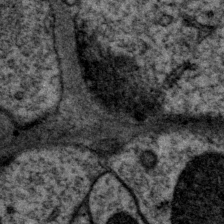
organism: P. pacificus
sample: Pharynx